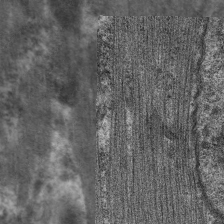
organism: C. elegans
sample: Pharynx